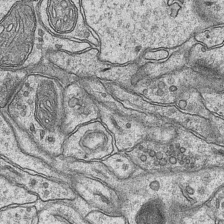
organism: Mouse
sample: CA1 Hippocampus